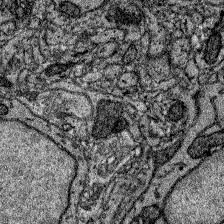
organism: Zebrafish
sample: Larval olfactory bulb